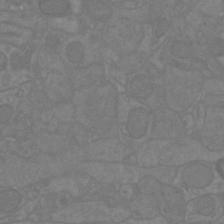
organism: Mouse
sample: Cortical neurons